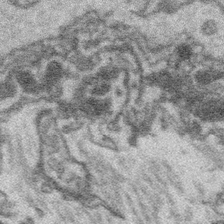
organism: Platynereis dumerilii